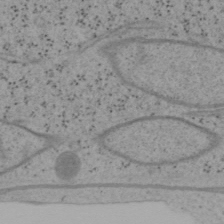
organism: Human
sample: HeLa cells